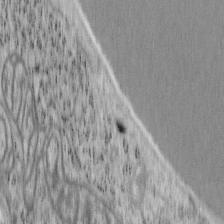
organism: Human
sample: HeLa cells